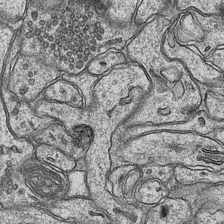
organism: Mouse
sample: CA1 Hippocampus